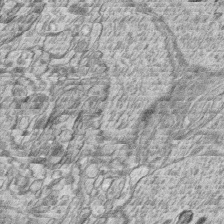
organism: Zebrafish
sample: synaptic ribbons in rod cells and cone cells